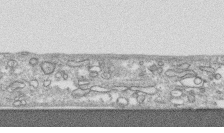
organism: Human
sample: CRL-1474